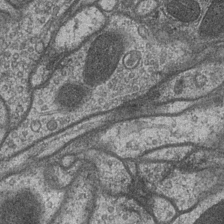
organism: Drosophila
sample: Optic medulla